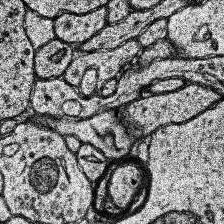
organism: Human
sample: Temporal Lobe